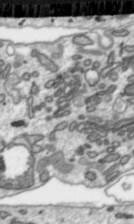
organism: Toxoplasma gondii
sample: Parasites in a vacuole inside a host cell